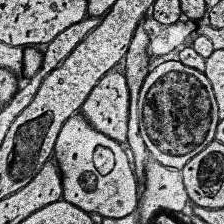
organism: Human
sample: Temporal Lobe